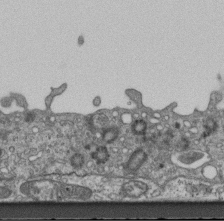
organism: Mouse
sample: Centriole in ependymal cells